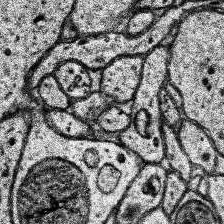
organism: Human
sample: Temporal Lobe